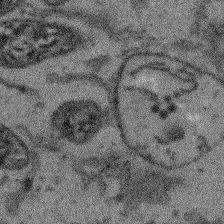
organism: Arabidopsis thaliana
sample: Root tip